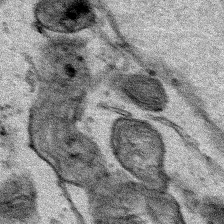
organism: Human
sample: Mitochondria in HCT116 cells